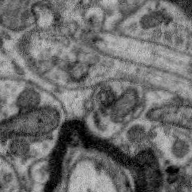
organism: Zebra finch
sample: Brain